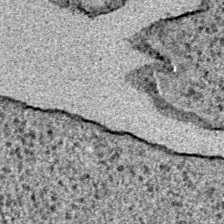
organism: E. coli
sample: E. Coli Bacteria